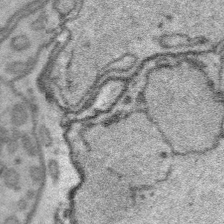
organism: Platynereis dumerilii